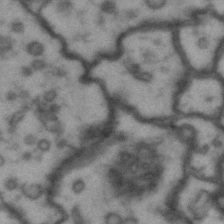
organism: Drosophila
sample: Brain